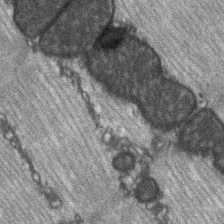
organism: C57BL Mouse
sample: Soleus